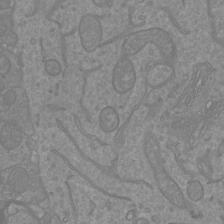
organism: Mouse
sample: Cortical neurons